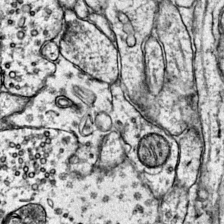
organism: Mouse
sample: Primary visual cortex